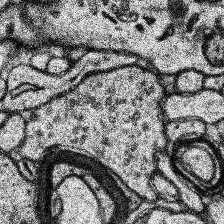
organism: Human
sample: Temporal Lobe